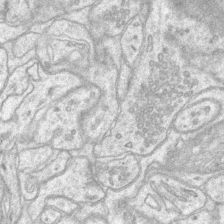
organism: Mouse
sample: CA1 Hippocampus